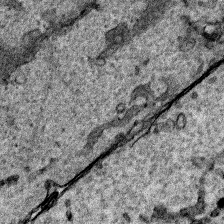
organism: Human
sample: Mitochondria in HCT116 cells